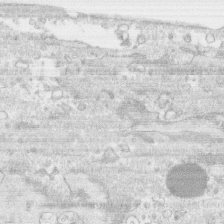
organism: Human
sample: CRL-1474